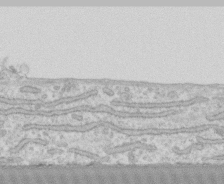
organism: Human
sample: CRL-1474